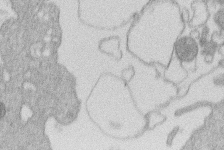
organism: Human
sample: Macrophage cells